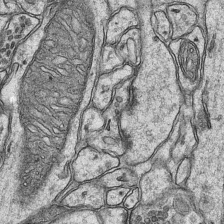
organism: Mouse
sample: CA1 Hippocampus